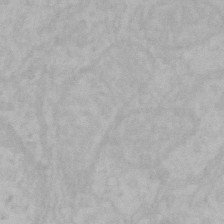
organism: Mouse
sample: Choroid plexus